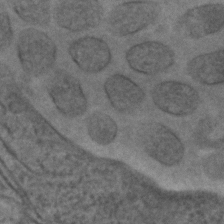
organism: C. elegans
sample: C. elegans embryo